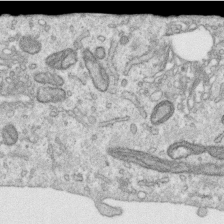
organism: Human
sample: Centriole in RPE cells